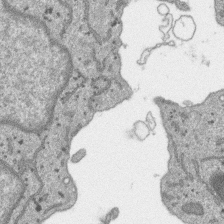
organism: Human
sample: Lung epithelial cells infected with SARS-CoV-2